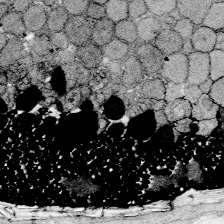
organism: Zebrafish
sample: Whole-Brain